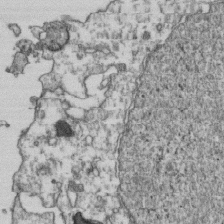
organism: Human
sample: Activated Jurkat CD4+ T cells